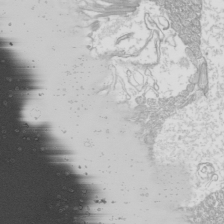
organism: Mouse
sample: Cilia; mouse epididymis